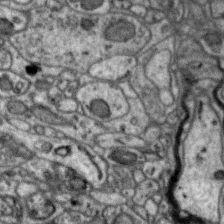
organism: Zebra finch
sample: Brain